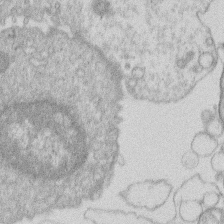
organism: Human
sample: Macrophage cells